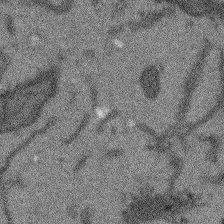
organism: Arabidopsis thaliana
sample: Root tip